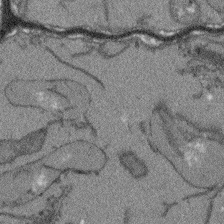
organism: Arabidopsis thaliana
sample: Root tip